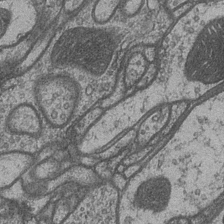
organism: Drosophila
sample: Optic medulla